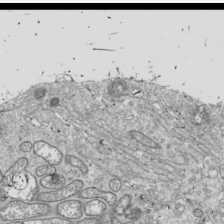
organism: Drosophila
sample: Cell division; meiosis; drosophila spermatocytes